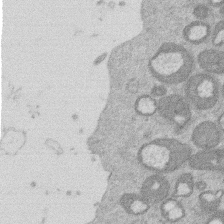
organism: Mouse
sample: Dividing mouse embryo 1 cell stage